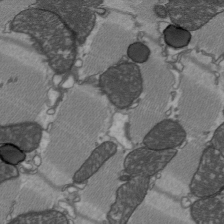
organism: C57BL Mouse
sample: Heart